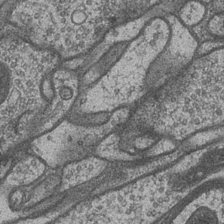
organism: Drosophila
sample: Optic medulla